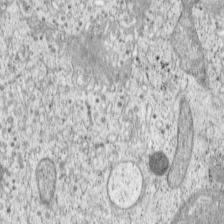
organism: African green monkey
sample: COS-7 cells